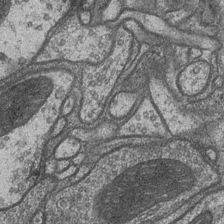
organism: Drosophila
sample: Optic medulla